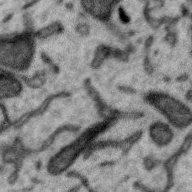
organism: Zebra finch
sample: Brain